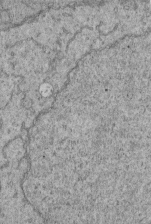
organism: Human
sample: Retinal organoid Rod and Cone cells